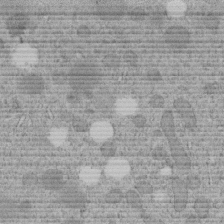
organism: C. elegans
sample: C. elegans embryo early stage